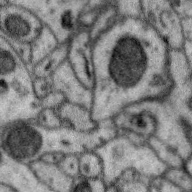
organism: Zebra finch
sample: Brain